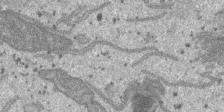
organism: Human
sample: Lung epithelial cells infected with SARS-CoV-2